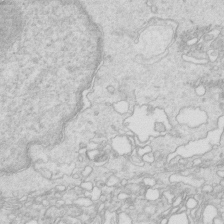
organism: Mouse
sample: Multiciliated cells